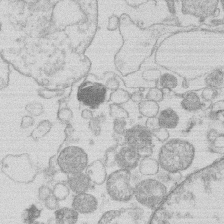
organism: Human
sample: Macrophage cells